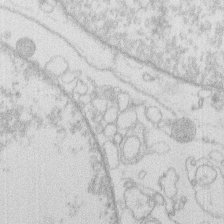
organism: Human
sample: Macrophage cells